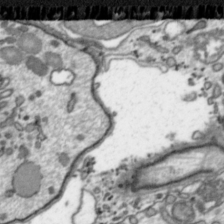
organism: Toxoplasma gondii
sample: Parasites in a vacuole inside a host cell